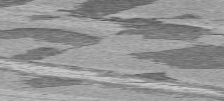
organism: C57BL Mouse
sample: Heart